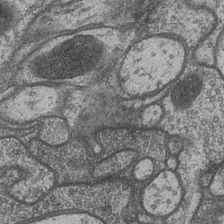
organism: Drosophila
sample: Optic medulla